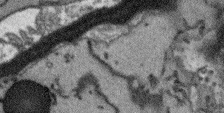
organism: Arabidopsis thaliana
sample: Root tip